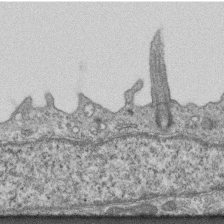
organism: Mouse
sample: Centriole in ependymal cells